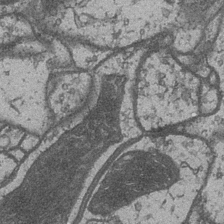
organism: Drosophila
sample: Optic medulla